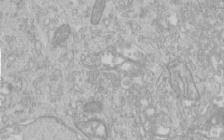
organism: Human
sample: Centriole in RPE cells